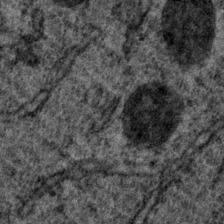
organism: P. pacificus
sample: Pharynx